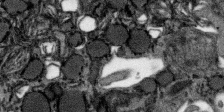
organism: Human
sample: Lung epithelial cells, uninfected (mock) control